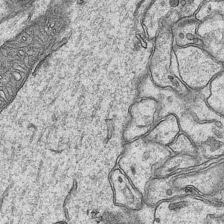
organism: Mouse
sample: CA1 Hippocampus